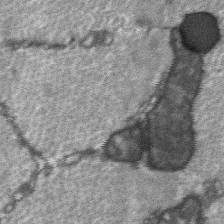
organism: C57BL Mouse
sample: Soleus